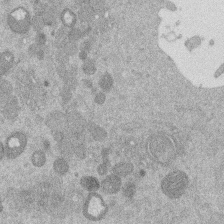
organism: Mouse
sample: Dividing mouse embryo 1 cell stage